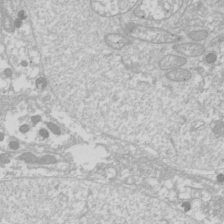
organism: Drosophila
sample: Cell division; meiosis; drosophila spermatocytes